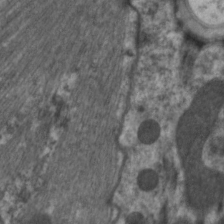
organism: C. elegans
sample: Pharynx